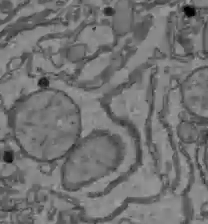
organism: C57BL Mouse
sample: Liver